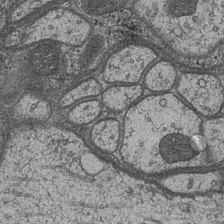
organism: Drosophila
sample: Optic medulla